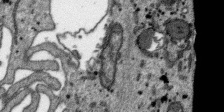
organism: Human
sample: Lung epithelial cells, uninfected (mock) control